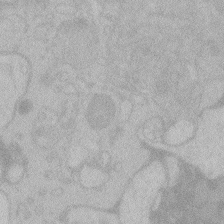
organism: Zebrafish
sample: Macrophage infected with Toxoplasma gondii